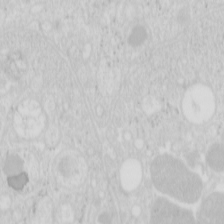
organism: Mouse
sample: Pancreas